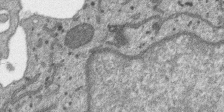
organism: Human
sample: Lung epithelial cells infected with SARS-CoV-2